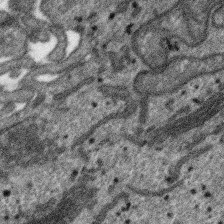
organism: Human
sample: Lung epithelial cells infected with SARS-CoV-2